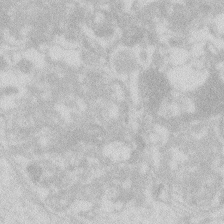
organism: Zebrafish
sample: Macrophage